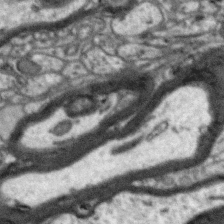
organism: Zebra finch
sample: Brain